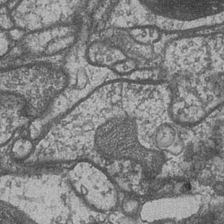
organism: Drosophila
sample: Optic medulla